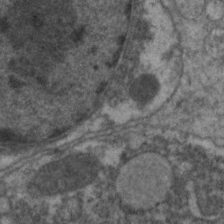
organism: C. elegans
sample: Pharynx